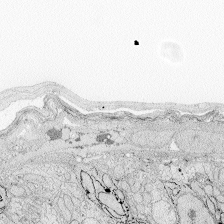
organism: Zebrafish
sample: Whole-Brain